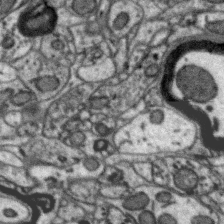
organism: Zebra finch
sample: Brain